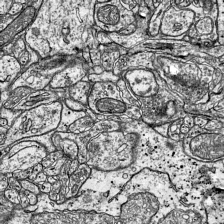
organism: Mouse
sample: Visual Cortex